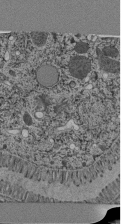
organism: C. elegans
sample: C. elegans pharynx